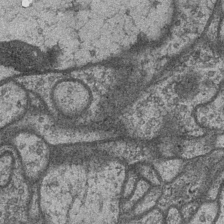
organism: Drosophila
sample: Optic medulla